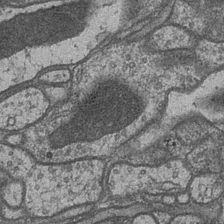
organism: Drosophila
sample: Optic medulla